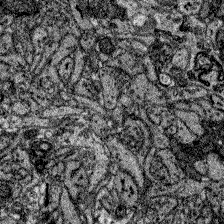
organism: Zebrafish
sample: Larval olfactory bulb